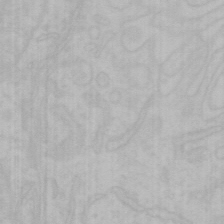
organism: Mouse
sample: Choroid plexus